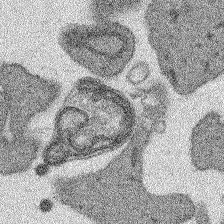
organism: Human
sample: HeLa cells